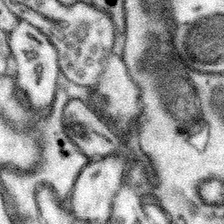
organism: Mouse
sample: Somatosensory cortex neuropil